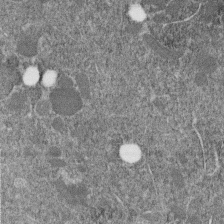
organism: C. elegans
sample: C. elegans embryo early stage